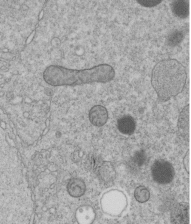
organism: C. elegans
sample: C. elegans embryo early stage